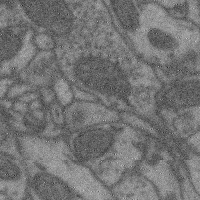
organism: Mouse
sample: Cerebral cortex